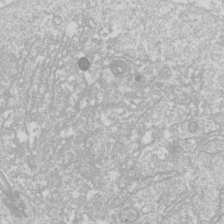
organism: Drosophila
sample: Cell division; meiosis; drosophila spermatocytes